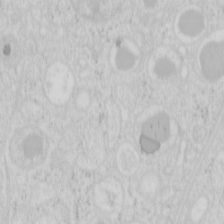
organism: Mouse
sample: Pancreas